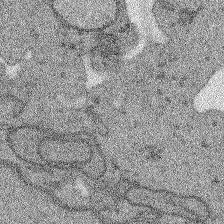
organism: Human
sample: HeLa cells